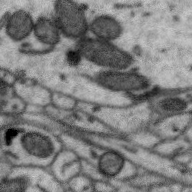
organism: Zebra finch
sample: Brain